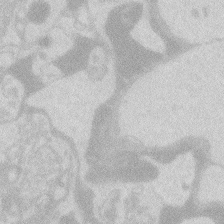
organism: Zebrafish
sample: Macrophage